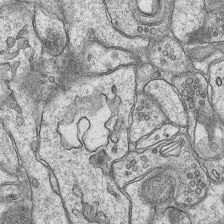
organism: Mouse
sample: CA1 Hippocampus